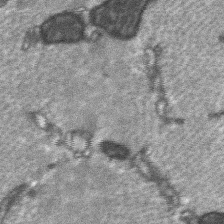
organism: C57BL Mouse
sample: Soleus